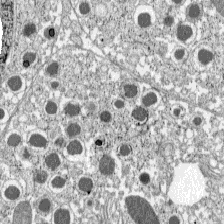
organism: C57BL Mouse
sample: Pancreatic islet